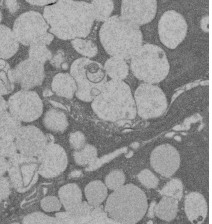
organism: Rat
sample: Salivary granule